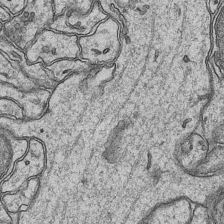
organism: Mouse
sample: CA1 Hippocampus